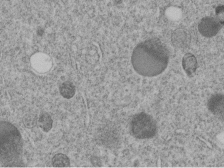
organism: C. elegans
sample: C. elegans embryo early stage